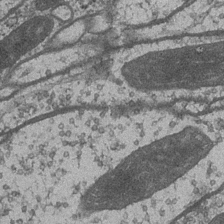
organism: Drosophila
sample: Optic medulla